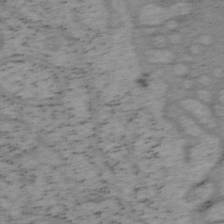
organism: Mouse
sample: OT-I killer T cells with ID8 ovarian cancer cells